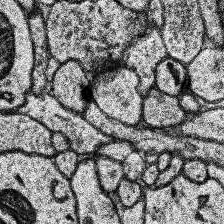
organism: Human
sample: Temporal Lobe